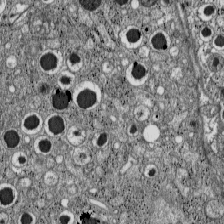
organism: C57BL Mouse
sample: Pancreatic islet